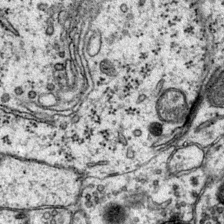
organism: Mouse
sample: Primary visual cortex